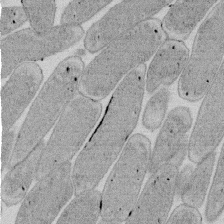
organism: E. coli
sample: Bacterial nucleoid